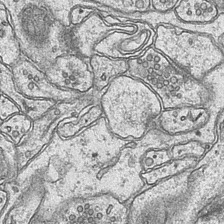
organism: Mouse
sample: CA1 Hippocampus